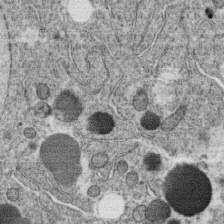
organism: C. elegans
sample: C. elegans oocyte; sperm cells